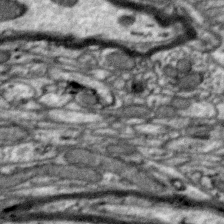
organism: Zebra finch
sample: Brain